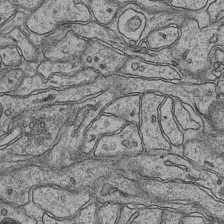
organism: Mouse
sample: CA1 Hippocampus